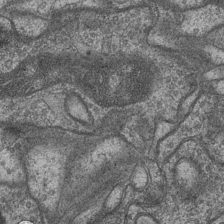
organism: Drosophila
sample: Optic medulla